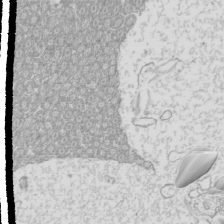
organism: Mouse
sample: Cilia; mouse epididymis